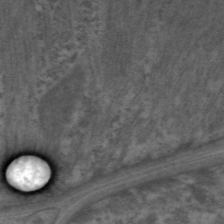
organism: C. elegans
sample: Pharynx